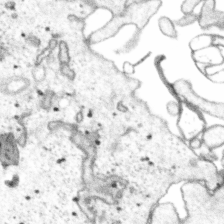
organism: Human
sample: HeLa cells